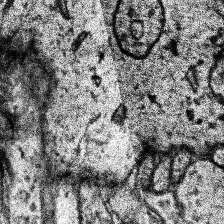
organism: Human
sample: Temporal Lobe